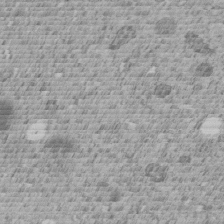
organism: C. elegans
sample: C. elegans embryo early stage